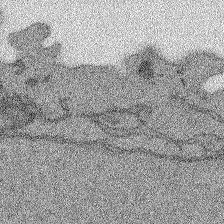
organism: Human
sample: HeLa cells